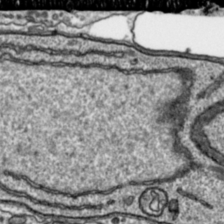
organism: Toxoplasma gondii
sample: Parasites in a vacuole inside a host cell